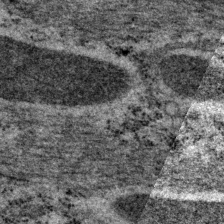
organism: P. pacificus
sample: Pharynx